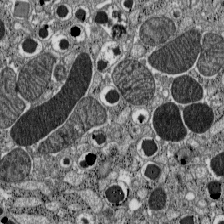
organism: C57BL Mouse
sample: Pancreatic islet